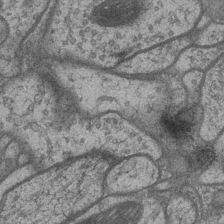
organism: Drosophila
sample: Optic medulla